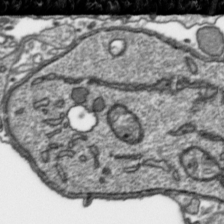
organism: Toxoplasma gondii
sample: Parasites in a vacuole inside a host cell